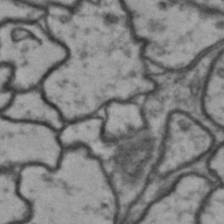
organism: Drosophila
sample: Brain